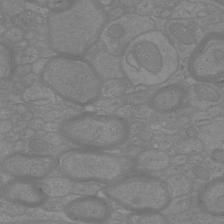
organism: Mouse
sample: Cortical neurons